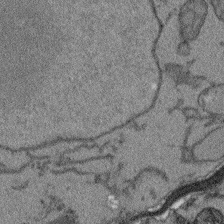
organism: Arabidopsis thaliana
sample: Root tip